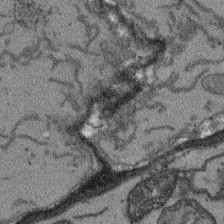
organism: Arabidopsis thaliana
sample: Root tip